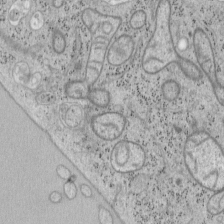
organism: Mouse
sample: OT-I killer T cells with ID8 ovarian cancer cells